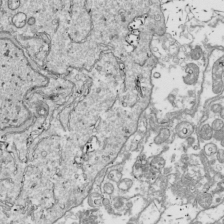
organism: Drosophila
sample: Cell division; meiosis; drosophila spermatocytes